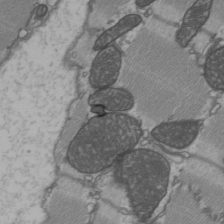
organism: C57BL Mouse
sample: Heart